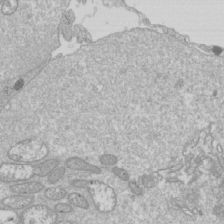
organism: Drosophila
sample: Cell division; meiosis; drosophila spermatocytes